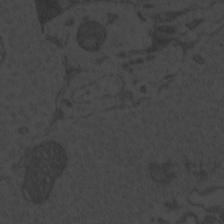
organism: Zebrafish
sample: Macrophage infected with Toxoplasma gondii